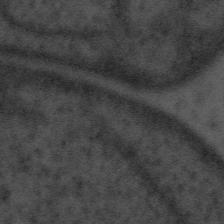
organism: Tuwongella immobilis